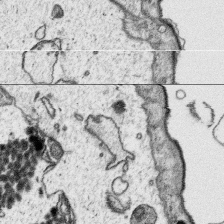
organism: Platynereis dumerilii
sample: Parapodia